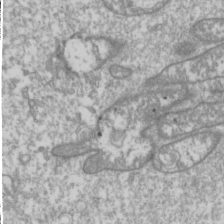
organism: Drosophila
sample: Cell division; meiosis; drosophila spermatocytes